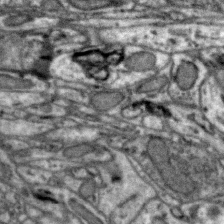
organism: Zebra finch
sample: Brain